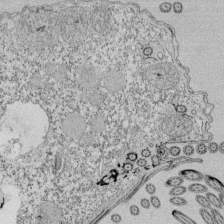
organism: Tetrahymena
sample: Cilia in tetrahymena